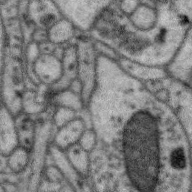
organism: Zebra finch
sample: Brain